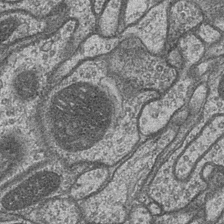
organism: Drosophila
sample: Optic medulla